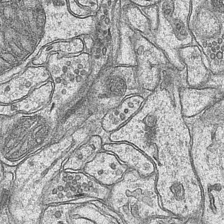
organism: Mouse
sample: CA1 Hippocampus